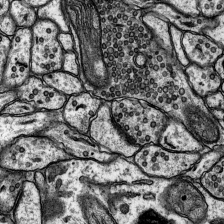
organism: Rat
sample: Hippocampus